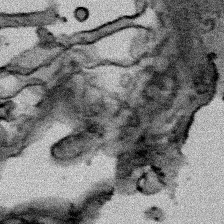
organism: Human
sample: Mitochondria in HCT116 cells